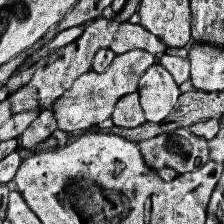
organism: Human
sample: Temporal Lobe